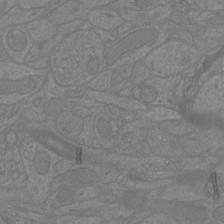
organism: Mouse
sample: Cortical neurons